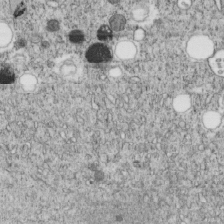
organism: C. elegans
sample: C. elegans embryo early stage